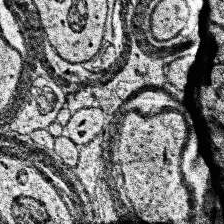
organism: Human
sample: Temporal Lobe